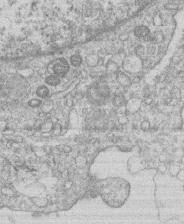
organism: Human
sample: Macrophage cells